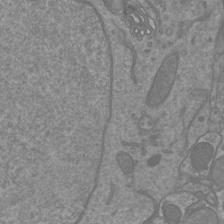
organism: Mouse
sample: Cortical neurons